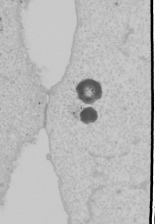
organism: Human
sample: Mitochondria in U2OS cells